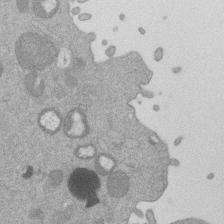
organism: Mouse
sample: Dividing mouse embryo 1 cell stage